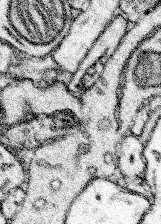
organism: Mouse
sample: Somatosensory cortex neuropil